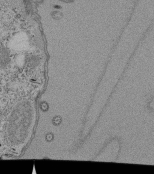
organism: Tetrahymena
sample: Cilia in tetrahymena